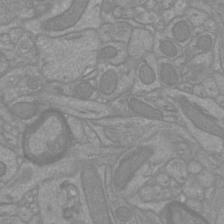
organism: Mouse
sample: Cortical neurons